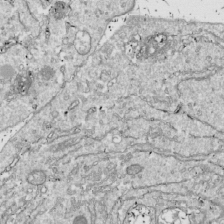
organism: Drosophila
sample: Cell division; meiosis; drosophila spermatocytes